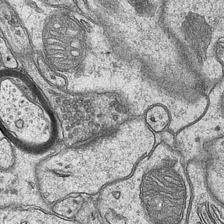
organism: Mouse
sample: CA1 Hippocampus